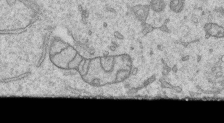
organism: Human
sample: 1205lu cells